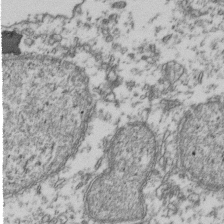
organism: Human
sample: Activated Jurkat CD4+ T cells